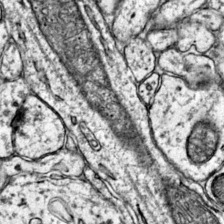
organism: Mouse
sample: Primary visual cortex